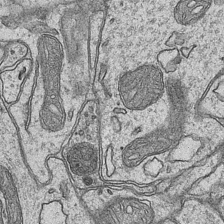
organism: Mouse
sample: CA1 Hippocampus